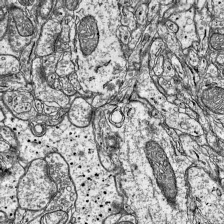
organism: Mouse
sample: Visual Cortex